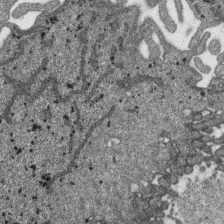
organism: Human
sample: Lung epithelial cells infected with SARS-CoV-2